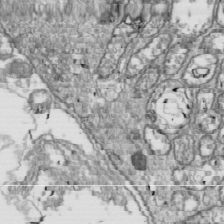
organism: Drosophila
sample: Cell division; meiosis; drosophila spermatocytes